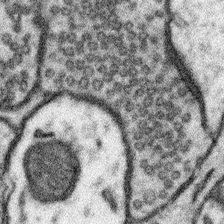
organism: Mouse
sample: Somatosensory cortex neuropil